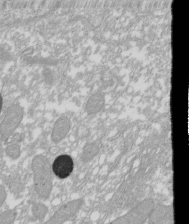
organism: Xenopus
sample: Cilia; centrioles in frog embryo cells